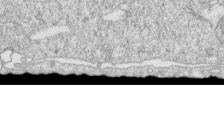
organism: Human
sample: HeLa cell HIV synapse